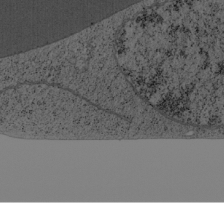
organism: African green monkey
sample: COS-7 cells